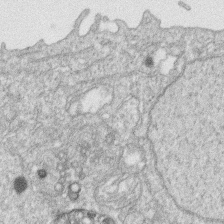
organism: Human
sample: HeLa cell HIV synapse